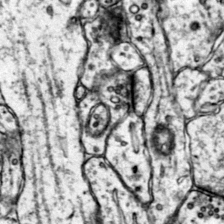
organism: Mouse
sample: Primary visual cortex